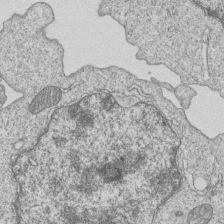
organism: Human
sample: MDA-MB-231 cells